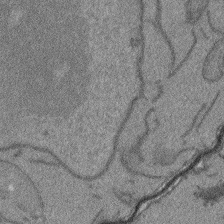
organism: Arabidopsis thaliana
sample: Root tip